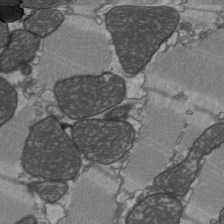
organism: C57BL Mouse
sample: Heart